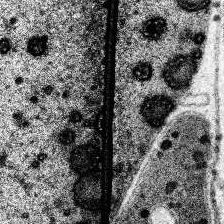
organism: Human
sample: Temporal Lobe